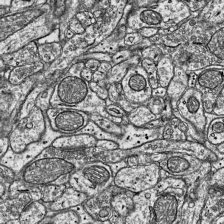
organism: Mouse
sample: Visual Cortex